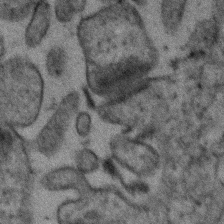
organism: Human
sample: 1205lu cells